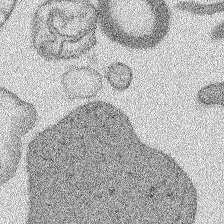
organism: Human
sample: HeLa cells